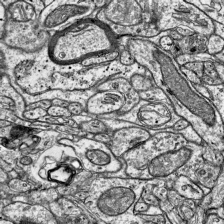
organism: Mouse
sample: Visual Cortex